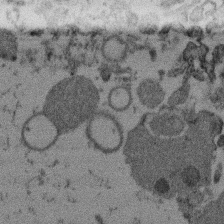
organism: Mouse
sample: Dividing mouse embryo 1 cell stage